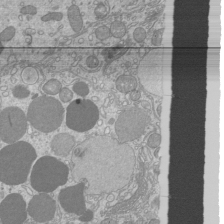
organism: Mouse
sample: Cilia; mouse epididymis